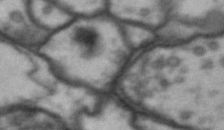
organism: Drosophila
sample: Brain